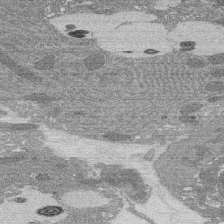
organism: Rat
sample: Salivary granule